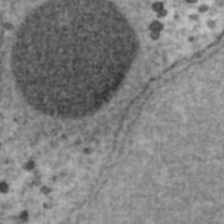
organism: Human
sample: Blood